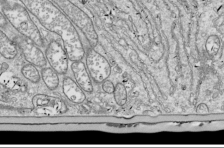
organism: Drosophila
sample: Cell division; meiosis; drosophila spermatocytes